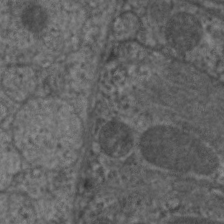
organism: C. elegans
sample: Pharynx